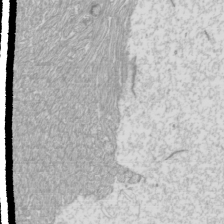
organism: Mouse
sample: Cilia; mouse epididymis